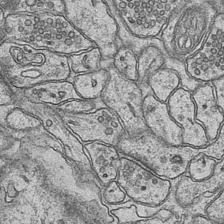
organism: Mouse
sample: CA1 Hippocampus